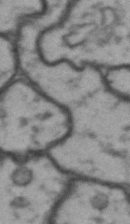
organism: Drosophila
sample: Brain